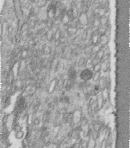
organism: Human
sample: Centriole in fibroblast cells